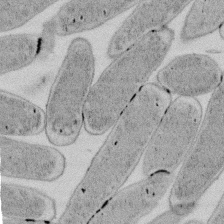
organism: E. coli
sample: Bacterial nucleoid